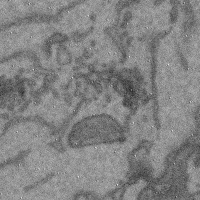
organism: Mouse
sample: Cerebral cortex